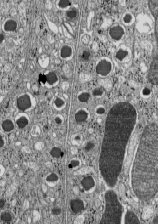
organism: C57BL Mouse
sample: Pancreatic islet